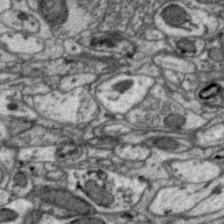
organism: Zebra finch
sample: Brain